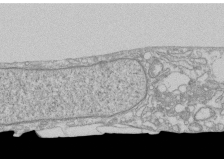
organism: Human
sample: CRL-1474